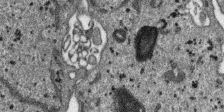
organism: Human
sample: Lung epithelial cells infected with SARS-CoV-2